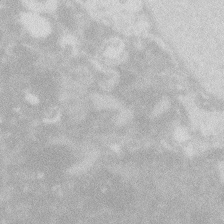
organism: Zebrafish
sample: Macrophage